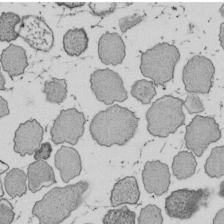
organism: E. coli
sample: Bacterial nucleoid